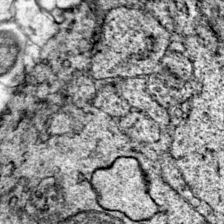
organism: Mouse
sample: Primary visual cortex